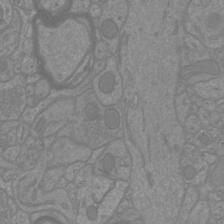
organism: Mouse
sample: Cortical neurons